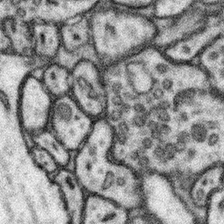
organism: Mouse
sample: Somatosensory cortex neuropil